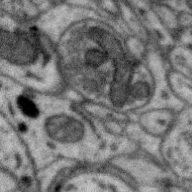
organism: Zebra finch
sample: Brain